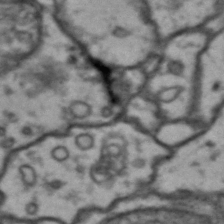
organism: Drosophila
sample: Brain